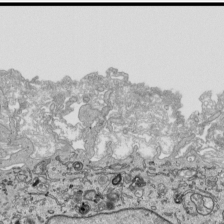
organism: Human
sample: Mitochondria in HCT116 cells